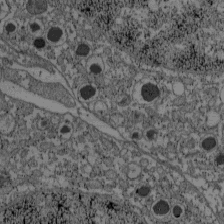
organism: C57BL Mouse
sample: Pancreatic islet